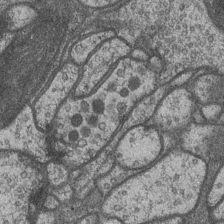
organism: Drosophila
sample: Optic medulla